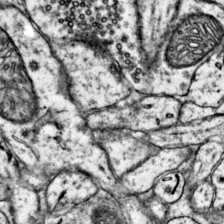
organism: Mouse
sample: Primary visual cortex